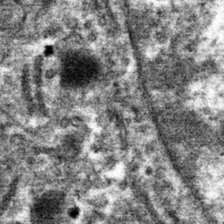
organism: Mouse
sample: Mouse hepatocytes